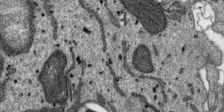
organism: Human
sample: Lung epithelial cells, uninfected (mock) control